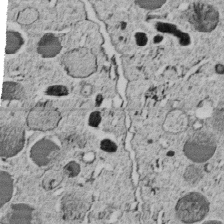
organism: C. elegans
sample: C. elegans embryo early stage